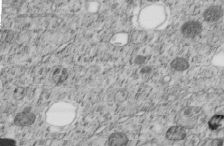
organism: C. elegans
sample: C. elegans embryo early stage